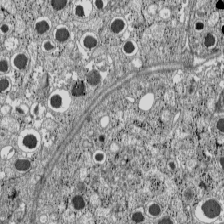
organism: C57BL Mouse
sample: Pancreatic islet